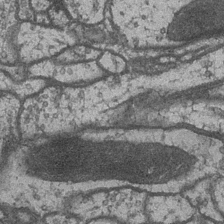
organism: Drosophila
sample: Optic medulla